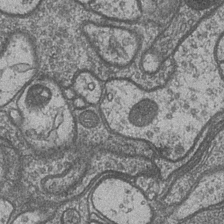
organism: Drosophila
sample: Optic medulla